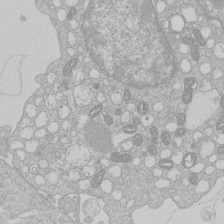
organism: Human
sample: Macrophage cells